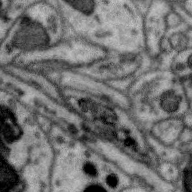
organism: Zebra finch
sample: Brain